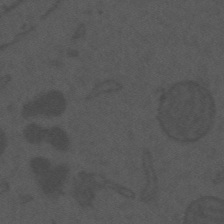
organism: Mouse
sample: Suprachiasmatic nucleus